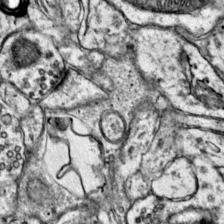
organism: Mouse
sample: Primary visual cortex